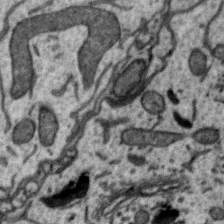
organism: Zebra finch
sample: Brain